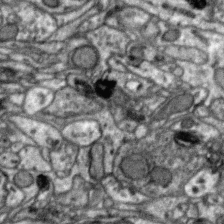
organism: Zebra finch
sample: Brain